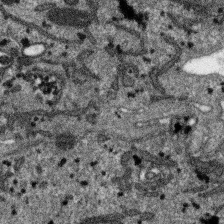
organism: Human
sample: Lung epithelial cells infected with SARS-CoV-2